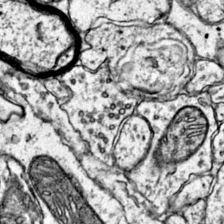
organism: Mouse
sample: Primary visual cortex